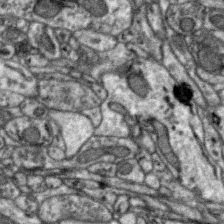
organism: Zebra finch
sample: Brain